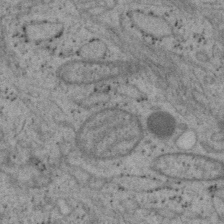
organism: Human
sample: HeLa cells